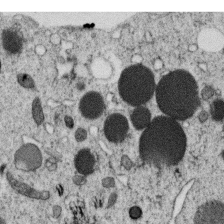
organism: C. elegans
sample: C. elegans oocyte; sperm cells